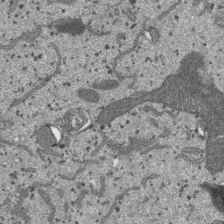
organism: Human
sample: Lung epithelial cells infected with SARS-CoV-2